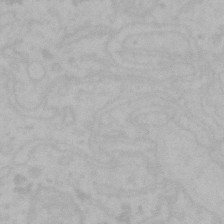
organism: Mouse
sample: Choroid plexus